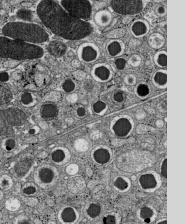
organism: C57BL Mouse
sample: Pancreatic islet